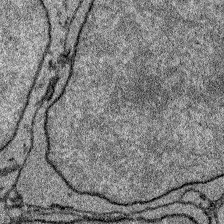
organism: Zebrafish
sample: Larval olfactory bulb